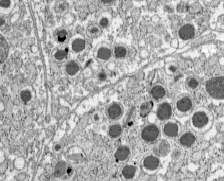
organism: C57BL Mouse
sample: Pancreatic islet